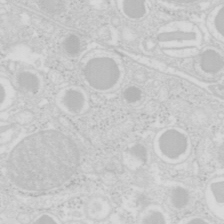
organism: Mouse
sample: Pancreas